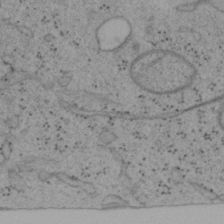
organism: Human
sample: HeLa cells